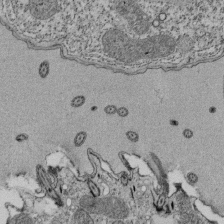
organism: Tetrahymena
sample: Cilia in tetrahymena